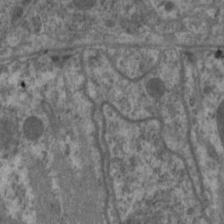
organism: C. elegans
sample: Pharynx